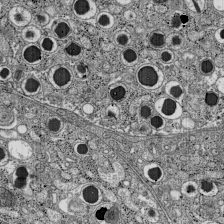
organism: C57BL Mouse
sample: Pancreatic islet